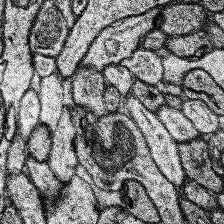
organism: Human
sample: Temporal Lobe